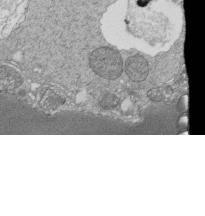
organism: Tetrahymena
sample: Cilia in tetrahymena